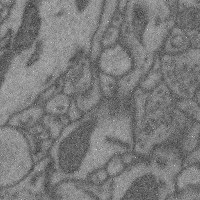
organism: Mouse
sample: Cerebral cortex